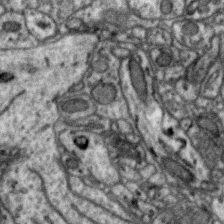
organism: Zebra finch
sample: Brain